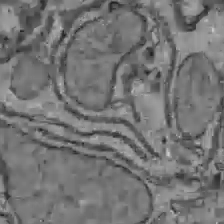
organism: C57BL Mouse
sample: Liver